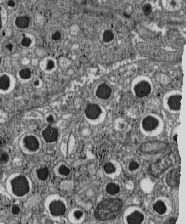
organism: C57BL Mouse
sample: Pancreatic islet